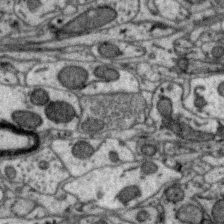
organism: Zebra finch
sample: Brain